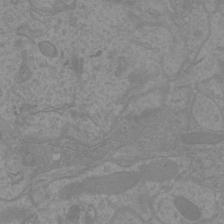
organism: Mouse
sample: Cortical neurons